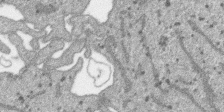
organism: Human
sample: Lung epithelial cells infected with SARS-CoV-2